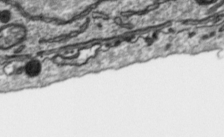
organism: Toxoplasma gondii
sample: Parasites in a vacuole inside a host cell